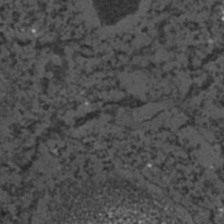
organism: C. elegans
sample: C. elegans embryo